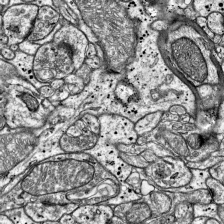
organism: Mouse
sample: Visual Cortex